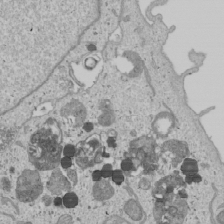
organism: Human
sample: Mitochondria in U2OS cells